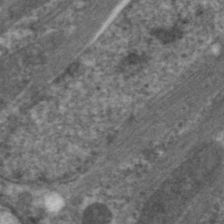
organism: C. elegans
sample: Pharynx